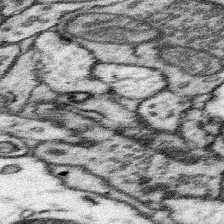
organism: Mouse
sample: Somatosensory cortex neuropil